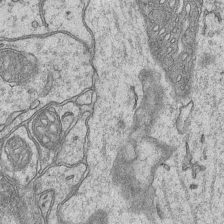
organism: Mouse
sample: CA1 Hippocampus